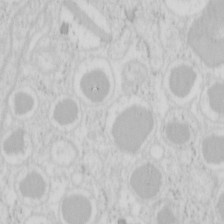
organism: Mouse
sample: Pancreas